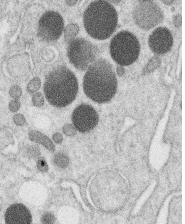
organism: C. elegans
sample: C. elegans oocyte; sperm cells